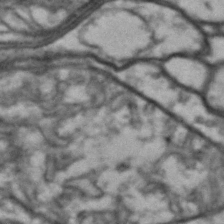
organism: Drosophila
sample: Brain